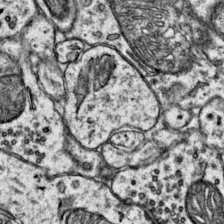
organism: Mouse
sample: Primary visual cortex